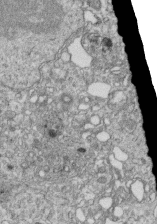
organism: Human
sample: HeLa cell HIV synapse